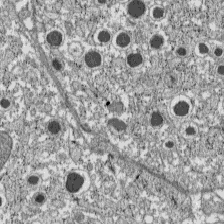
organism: C57BL Mouse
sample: Pancreatic islet